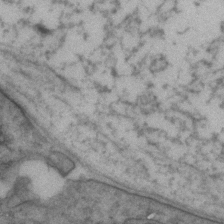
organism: Zebrafish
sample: Zebrafish embryo